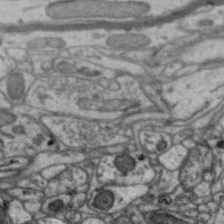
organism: Zebra finch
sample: Brain